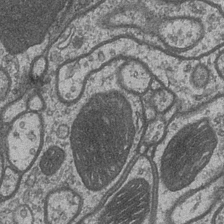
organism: Drosophila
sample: Optic medulla